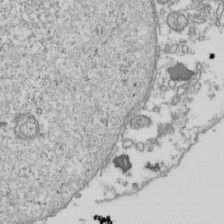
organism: Human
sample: Activated Jurkat CD4+ T cells